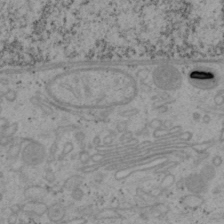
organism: Human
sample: HeLa cells